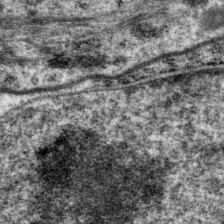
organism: P. pacificus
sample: Pharynx